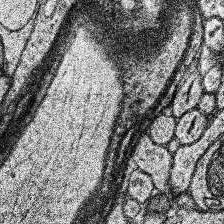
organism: Human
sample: Temporal Lobe